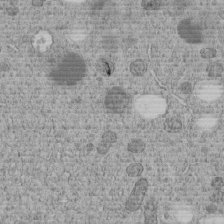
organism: C. elegans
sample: C. elegans embryo early stage